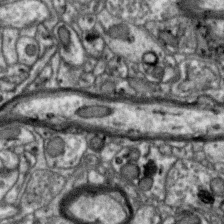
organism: Zebra finch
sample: Brain